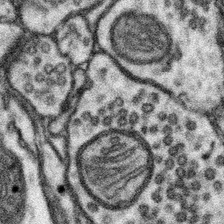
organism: Mouse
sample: Somatosensory cortex neuropil